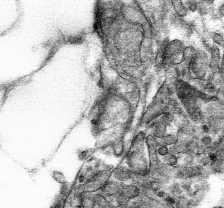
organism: Mouse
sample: Mouse hepatocytes